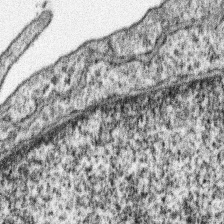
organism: Human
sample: HeLa cells